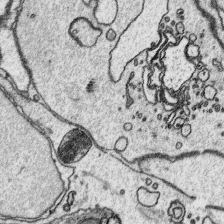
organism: Platynereis dumerilii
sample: Parapodia